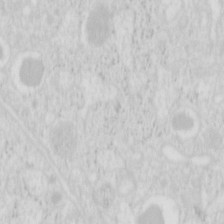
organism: Mouse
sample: Pancreas